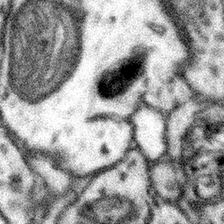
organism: Mouse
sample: Somatosensory cortex neuropil